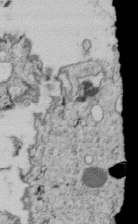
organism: C. elegans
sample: C. elegans embryo early stage